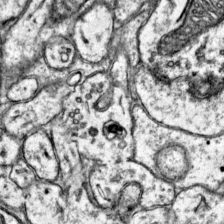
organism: Mouse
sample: Primary visual cortex